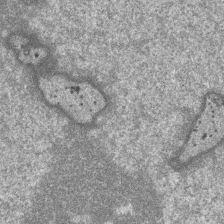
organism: Human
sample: Lung epithelial cells infected with SARS-CoV-2